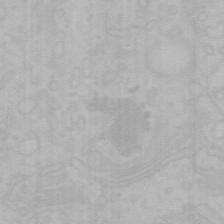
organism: Mouse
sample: Choroid plexus